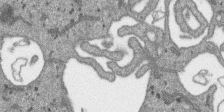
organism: Human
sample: Lung epithelial cells infected with SARS-CoV-2